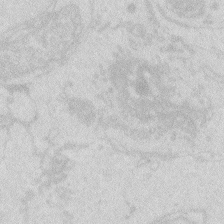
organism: Zebrafish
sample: Macrophage